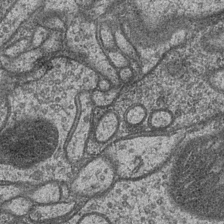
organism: Drosophila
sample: Optic medulla